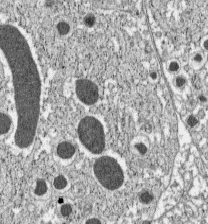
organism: C57BL Mouse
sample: Pancreatic islet